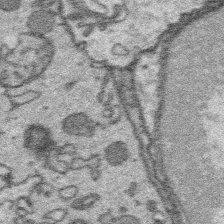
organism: Platynereis dumerilii